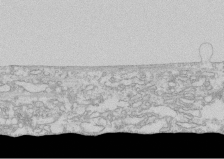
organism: Human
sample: CRL-1474